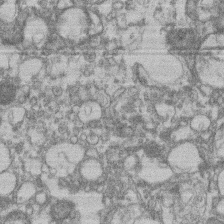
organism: Mouse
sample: T cell stromal cell synapse